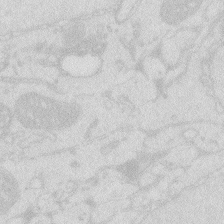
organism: Zebrafish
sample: Macrophage